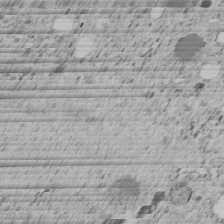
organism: C. elegans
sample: C. elegans embryo early stage